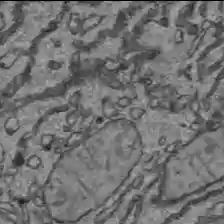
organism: C57BL Mouse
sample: Liver